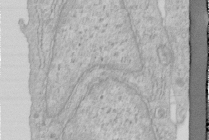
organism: Human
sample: Centriole in RPE cells